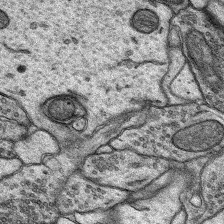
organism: Rat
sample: Hippocampus